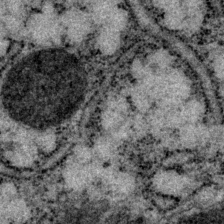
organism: P. pacificus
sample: Pharynx